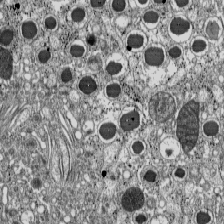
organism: C57BL Mouse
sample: Pancreatic islet